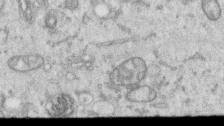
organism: Human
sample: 1205lu cells